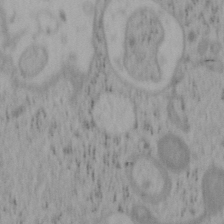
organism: Mouse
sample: OT-I killer T cells with ID8 ovarian cancer cells